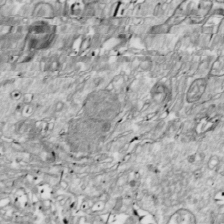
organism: Drosophila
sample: Cell division; meiosis; drosophila spermatocytes